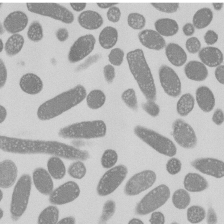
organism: E. coli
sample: Bacterial nucleoid